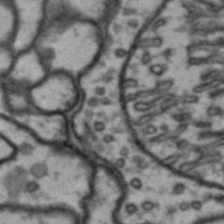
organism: Drosophila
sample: Brain